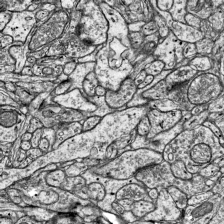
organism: Mouse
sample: Visual Cortex